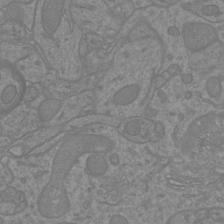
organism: Mouse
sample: Cortical neurons